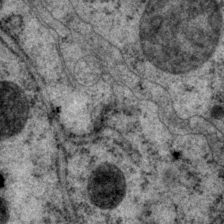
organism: P. pacificus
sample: Pharynx